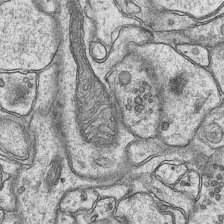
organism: Mouse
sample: CA1 Hippocampus